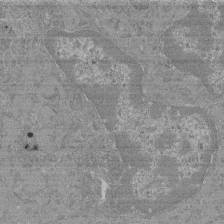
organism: Mouse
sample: Glomerulus